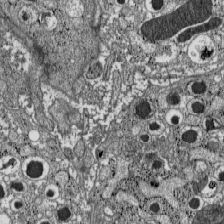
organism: C57BL Mouse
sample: Pancreatic islet